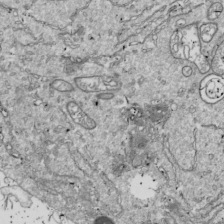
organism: Drosophila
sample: Cell division; meiosis; drosophila spermatocytes